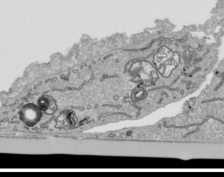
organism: Human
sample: Mitochondria in HCT116 cells